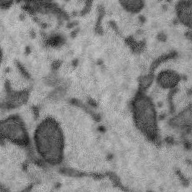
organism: Zebra finch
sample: Brain